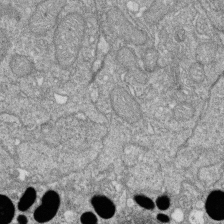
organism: Zebrafish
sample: Cilia; retinal pigment epithelium